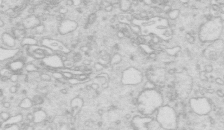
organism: Mouse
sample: Multiciliated cells